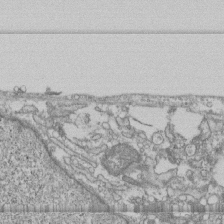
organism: Human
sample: Fibroblast cells